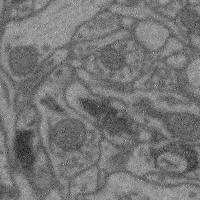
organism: Mouse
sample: Cerebral cortex